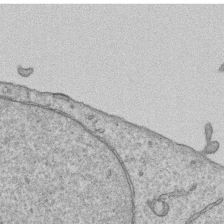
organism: Human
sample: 1205lu cells